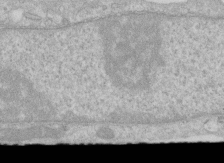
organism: Human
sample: Centriole in RPE cells